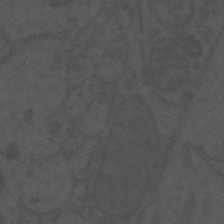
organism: Mouse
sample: Suprachiasmatic nucleus